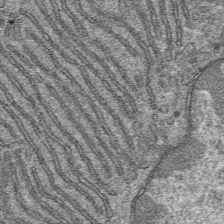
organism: Mouse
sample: Mouse hepatocytes